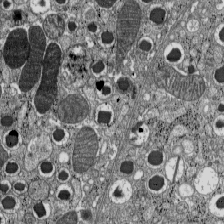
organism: C57BL Mouse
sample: Pancreatic islet